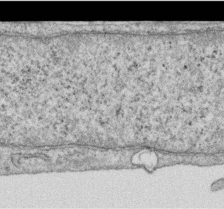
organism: Human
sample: Centriole in RPE cells